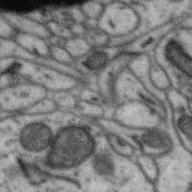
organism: Zebra finch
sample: Brain